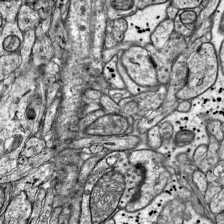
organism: Mouse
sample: Visual Cortex